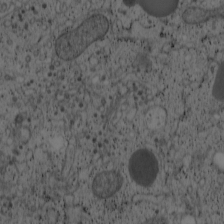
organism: African green monkey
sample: COS-7 cells